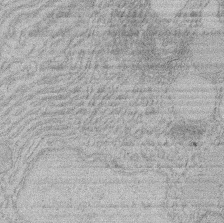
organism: Rat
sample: Salivary granule